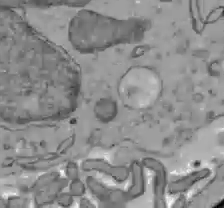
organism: C57BL Mouse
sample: Liver